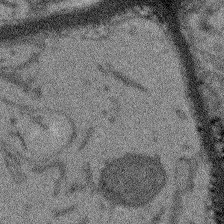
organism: Arabidopsis thaliana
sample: Root tip